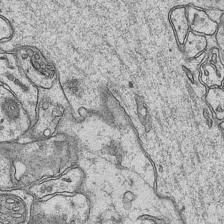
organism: Mouse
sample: CA1 Hippocampus